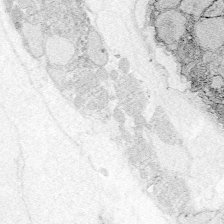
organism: Zebrafish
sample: Whole-Brain